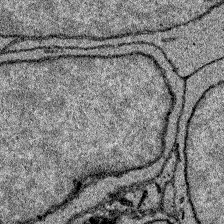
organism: Zebrafish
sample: Larval olfactory bulb